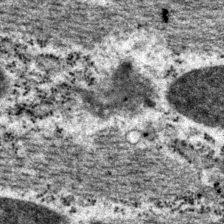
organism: P. pacificus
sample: Pharynx